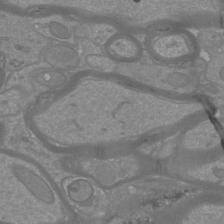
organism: Mouse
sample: Cortical neurons